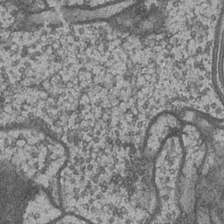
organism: Drosophila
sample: Optic medulla